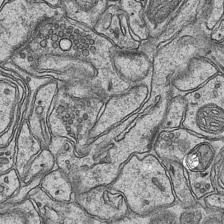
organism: Mouse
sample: CA1 Hippocampus